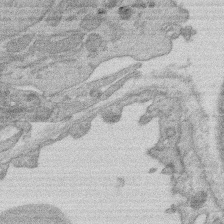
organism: Rat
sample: Salivary granule